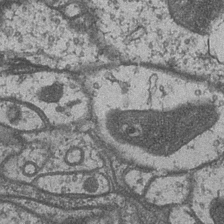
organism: Drosophila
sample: Optic medulla